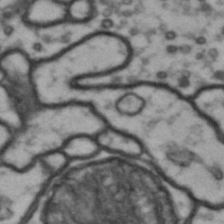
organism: Drosophila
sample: Brain